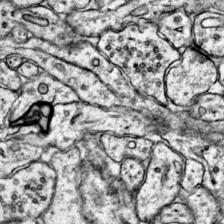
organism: Mouse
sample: Primary visual cortex